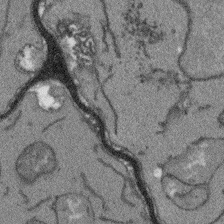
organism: Arabidopsis thaliana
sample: Root tip